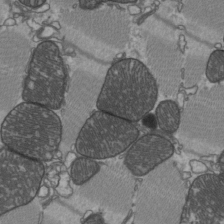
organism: C57BL Mouse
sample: Heart